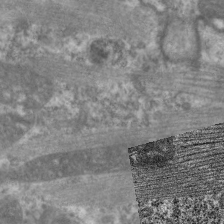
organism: C. elegans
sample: Pharynx